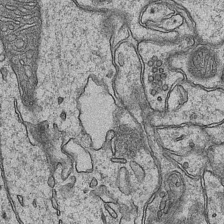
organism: Mouse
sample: CA1 Hippocampus